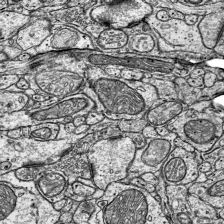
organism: Mouse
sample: Visual Cortex